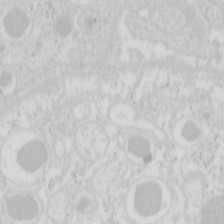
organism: Mouse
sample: Pancreas